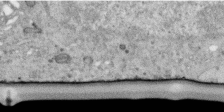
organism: Human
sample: Centriole in RPE cells